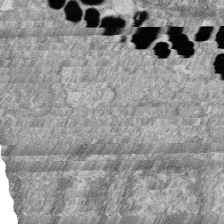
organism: Zebrafish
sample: Cilia; retinal pigment epithelium